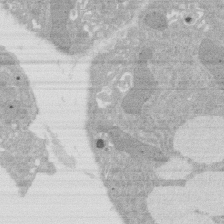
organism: Rat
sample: Salivary granule